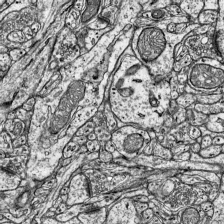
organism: Mouse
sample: Visual Cortex